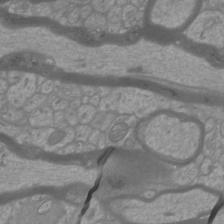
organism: Mouse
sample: Cortical neurons